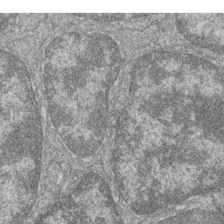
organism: Zebrafish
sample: Cilia; retinal pigment epithelium